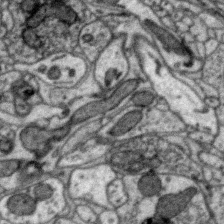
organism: Zebra finch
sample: Brain